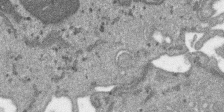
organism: Human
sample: Lung epithelial cells infected with SARS-CoV-2